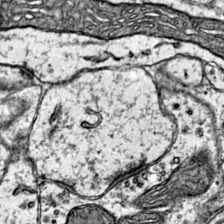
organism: Mouse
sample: Primary visual cortex